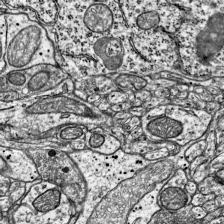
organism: Mouse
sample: Visual Cortex